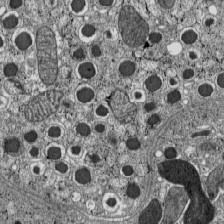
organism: C57BL Mouse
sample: Pancreatic islet